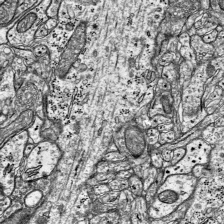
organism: Mouse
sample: Visual Cortex